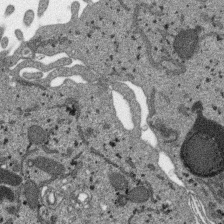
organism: Human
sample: Lung epithelial cells infected with SARS-CoV-2